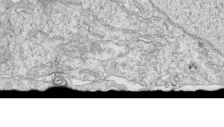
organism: Human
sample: HeLa cell HIV synapse